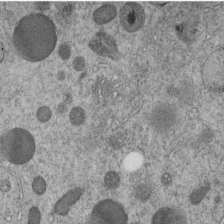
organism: C. elegans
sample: C. elegans embryo early stage